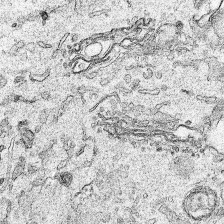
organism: Human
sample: Mitochondria in HCT116 cells